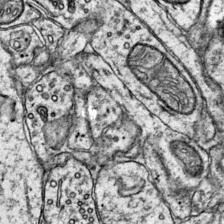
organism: Mouse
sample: Primary visual cortex